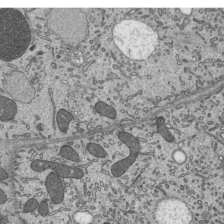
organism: Mouse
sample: Mouse epididymis efferent ductule cilia